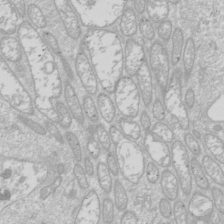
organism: Drosophila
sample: Cell division; meiosis; drosophila spermatocytes